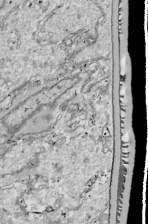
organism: Drosophila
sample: Cell division; meiosis; drosophila spermatocytes